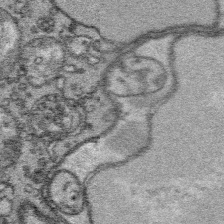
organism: Platynereis dumerilii